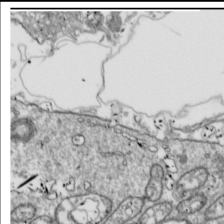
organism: Drosophila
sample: Cell division; meiosis; drosophila spermatocytes